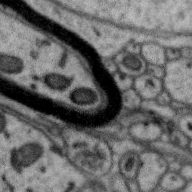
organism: Zebra finch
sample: Brain